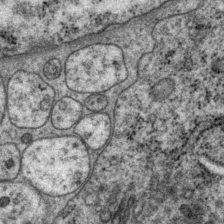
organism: P. pacificus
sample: Pharynx